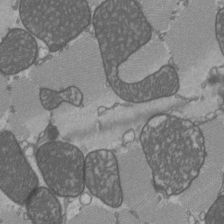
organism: C57BL Mouse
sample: Heart